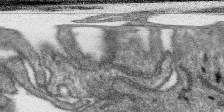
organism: Human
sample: Lung epithelial cells infected with SARS-CoV-2